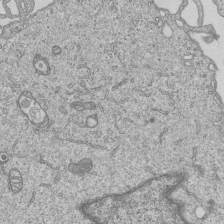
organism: Human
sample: MDA-MB-231 cells